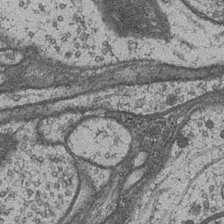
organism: Drosophila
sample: Optic medulla